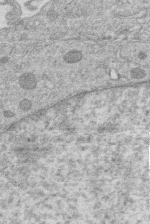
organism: Human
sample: Macrophage cells